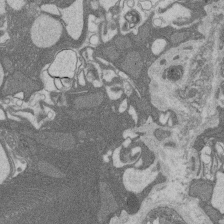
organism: Rat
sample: Salivary granule